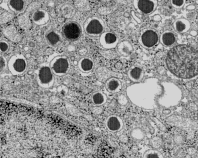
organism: C57BL Mouse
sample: Pancreatic islet